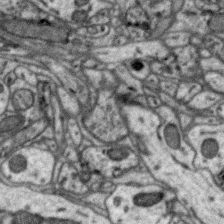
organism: Zebra finch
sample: Brain